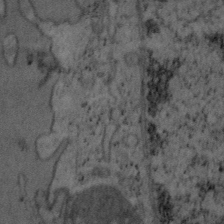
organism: Human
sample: HeLa cells